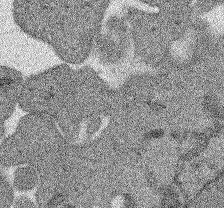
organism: Human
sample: HeLa cells